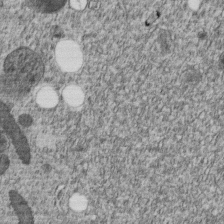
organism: C. elegans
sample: C. elegans embryo early stage